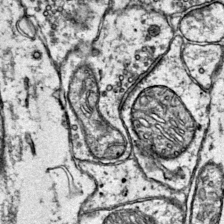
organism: Mouse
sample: Primary visual cortex